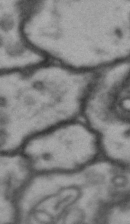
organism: Drosophila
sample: Brain